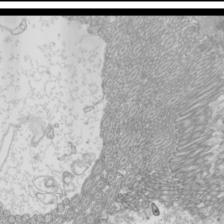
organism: Mouse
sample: Cilia; mouse epididymis